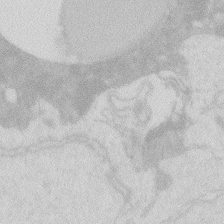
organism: Zebrafish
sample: Macrophage